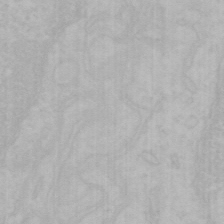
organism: Mouse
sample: Choroid plexus